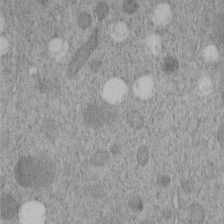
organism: C. elegans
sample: C. elegans embryo early stage